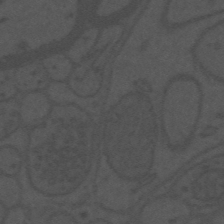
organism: Mouse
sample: Suprachiasmatic nucleus